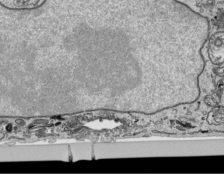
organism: Human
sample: Mitochondria in HCT116 cells